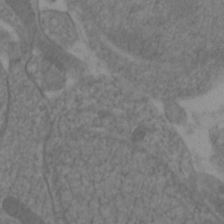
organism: Zebrafish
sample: Zebrafish embryo